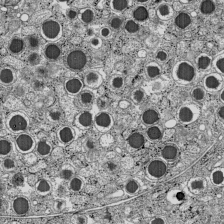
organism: C57BL Mouse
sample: Pancreatic islet